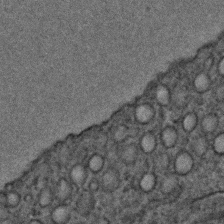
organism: C. elegans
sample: C. elegans embryo